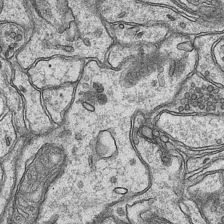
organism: Mouse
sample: CA1 Hippocampus